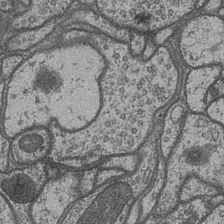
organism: Drosophila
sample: Optic medulla